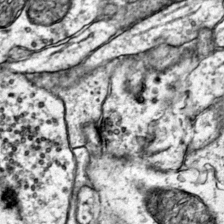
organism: Mouse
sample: Primary visual cortex